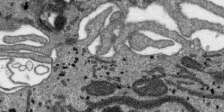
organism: Human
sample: Lung epithelial cells, uninfected (mock) control